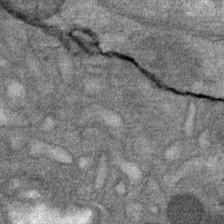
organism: Mouse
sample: Mouse Salivary gland